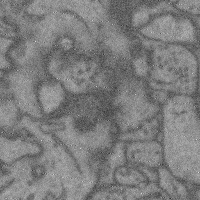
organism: Mouse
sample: Cerebral cortex